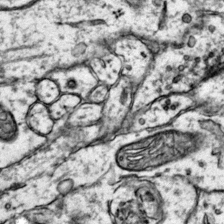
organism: Mouse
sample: Primary visual cortex